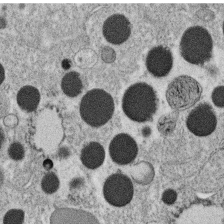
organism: C. elegans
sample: C. elegans oocyte; sperm cells